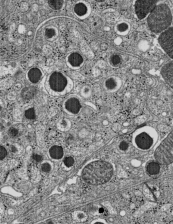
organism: C57BL Mouse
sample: Pancreatic islet